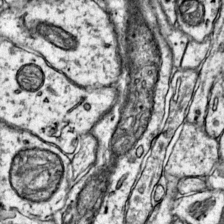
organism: Mouse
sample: Primary visual cortex